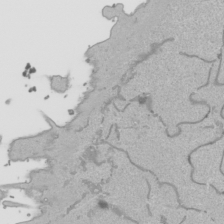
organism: Human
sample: Mitochondria in HCT116 cells